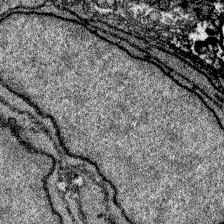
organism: Zebrafish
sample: Larval olfactory bulb